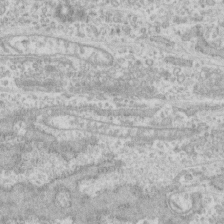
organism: Human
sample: CRL-1474